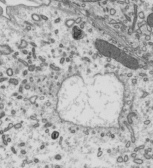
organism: Mouse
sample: Mouse epididymis efferent ductule cilia